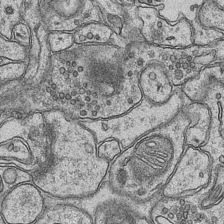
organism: Mouse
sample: CA1 Hippocampus